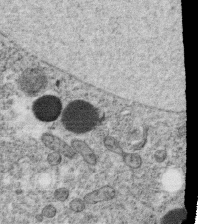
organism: C. elegans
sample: C. elegans oocyte; sperm cells